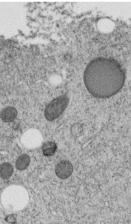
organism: C. elegans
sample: C. elegans embryo early stage